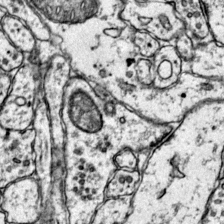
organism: Mouse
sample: Primary visual cortex